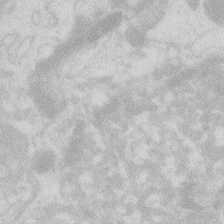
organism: Zebrafish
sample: Macrophage